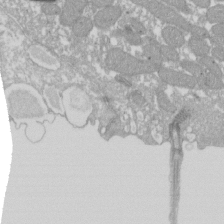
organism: Xenopus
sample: Cilia; centrioles in frog embryo cells